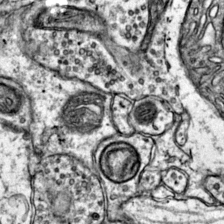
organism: Mouse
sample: Primary visual cortex